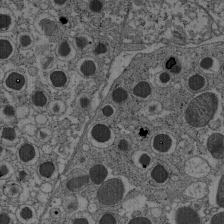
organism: C57BL Mouse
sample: Pancreatic islet